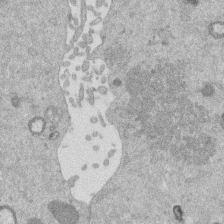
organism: Mouse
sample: Dividing mouse embryo 1 cell stage